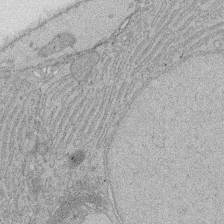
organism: Rat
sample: Salivary granule